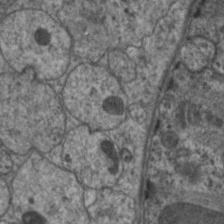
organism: C. elegans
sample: Pharynx